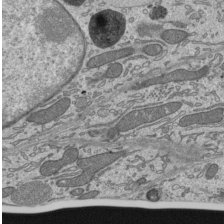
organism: Mouse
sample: Mouse epididymis efferent ductule cilia